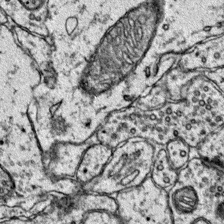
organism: Mouse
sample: Primary visual cortex